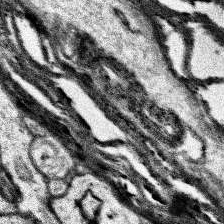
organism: Human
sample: Temporal Lobe